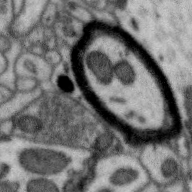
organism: Zebra finch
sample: Brain